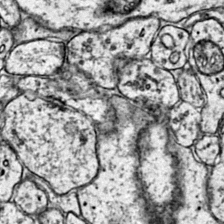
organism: Mouse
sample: Primary visual cortex